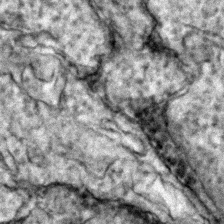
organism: Zebrafish